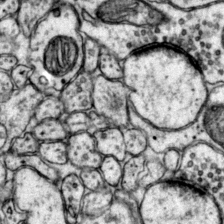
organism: Mouse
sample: Primary visual cortex